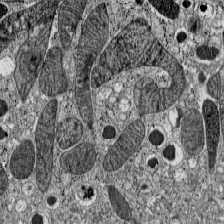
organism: C57BL Mouse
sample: Pancreatic islet